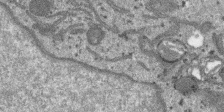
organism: Human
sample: Lung epithelial cells infected with SARS-CoV-2